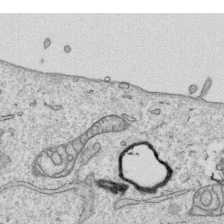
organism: Human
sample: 1205lu cells